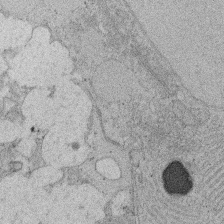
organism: Rat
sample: Salivary granule